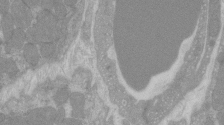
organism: C57BL Mouse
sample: Tibialis anterior muscle cell